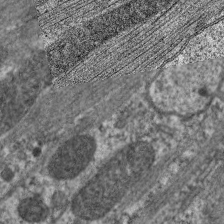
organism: C. elegans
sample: Pharynx